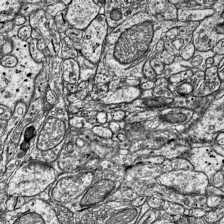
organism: Mouse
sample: Visual Cortex